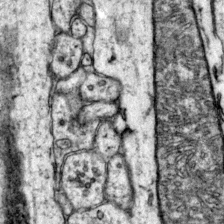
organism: Mouse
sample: Primary visual cortex